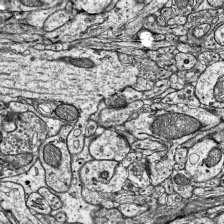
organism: Mouse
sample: Visual Cortex